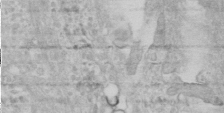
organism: Human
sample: Cilia; basal body in RPE cells